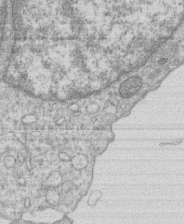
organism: Human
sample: Macrophage cells